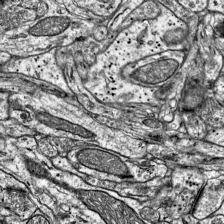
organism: Mouse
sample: Visual Cortex